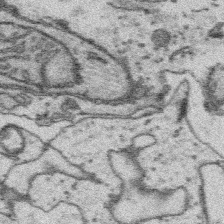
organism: Platynereis dumerilii